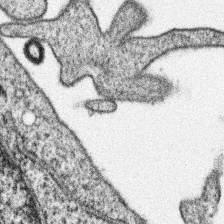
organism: Human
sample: HeLa cells